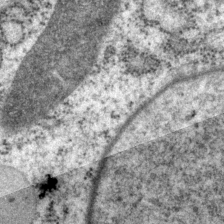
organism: P. pacificus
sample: Pharynx